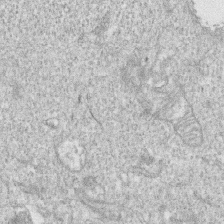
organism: Human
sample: HeLa cell HIV synapse